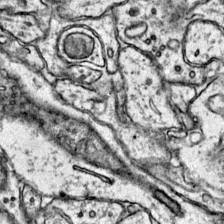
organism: Mouse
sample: Primary visual cortex